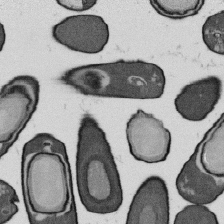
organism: B. subtilis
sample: Bacterial spore